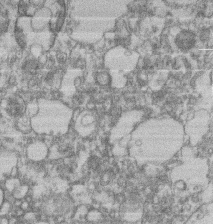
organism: Mouse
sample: T cell stromal cell synapse